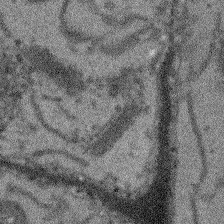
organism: Arabidopsis thaliana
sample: Root tip